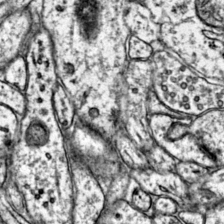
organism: Mouse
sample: Primary visual cortex